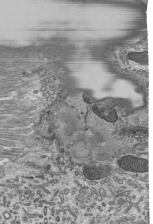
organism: Mouse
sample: Mouse epididymis efferent ductule cilia